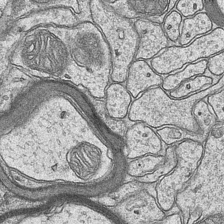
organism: Mouse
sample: CA1 Hippocampus